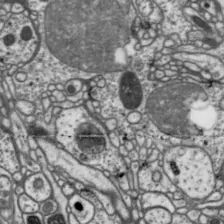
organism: Drosophila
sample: Protocerebral bridge